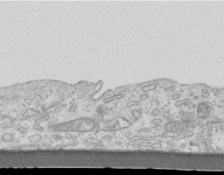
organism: Mouse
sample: Centriole in ependymal cells